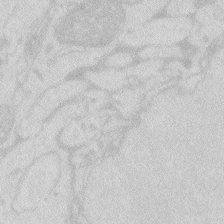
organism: Zebrafish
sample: Macrophage